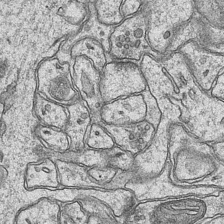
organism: Mouse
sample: CA1 Hippocampus